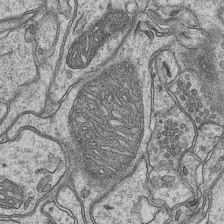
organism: Mouse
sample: CA1 Hippocampus